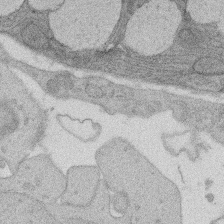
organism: Rat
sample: Salivary granule